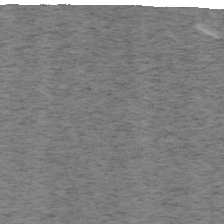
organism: Mouse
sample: OT-I killer T cells with ID8 ovarian cancer cells